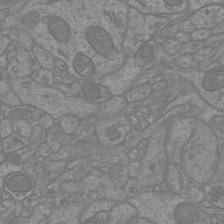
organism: Mouse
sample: Cortical neurons